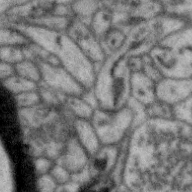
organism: Zebra finch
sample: Brain